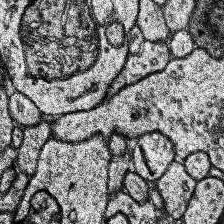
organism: Human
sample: Temporal Lobe